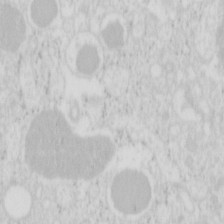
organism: Mouse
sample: Pancreas